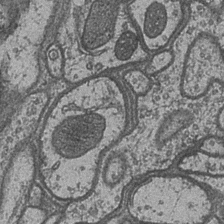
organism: Drosophila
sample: Optic medulla